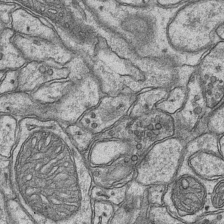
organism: Mouse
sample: CA1 Hippocampus